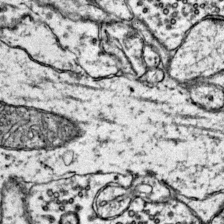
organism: Mouse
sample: Primary visual cortex